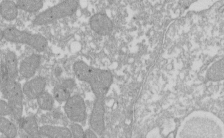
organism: Xenopus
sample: Cilia; centrioles in frog embryo cells